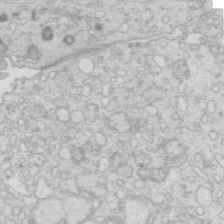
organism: Mouse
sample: Multiciliated cells